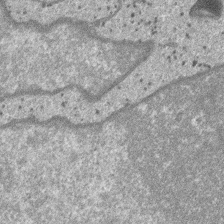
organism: Human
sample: Lung epithelial cells infected with SARS-CoV-2